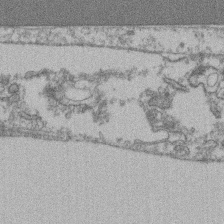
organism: Mouse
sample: T cell stromal cell synapse